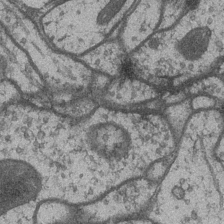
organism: Drosophila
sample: Optic medulla